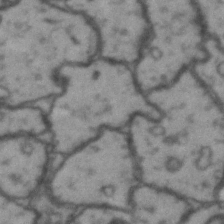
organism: Drosophila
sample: Brain